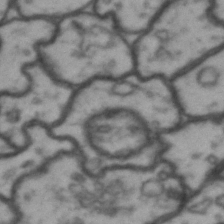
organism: Drosophila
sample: Brain